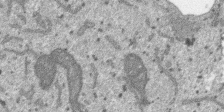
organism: Human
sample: Lung epithelial cells infected with SARS-CoV-2